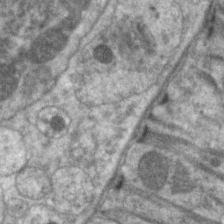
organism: C. elegans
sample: Pharynx